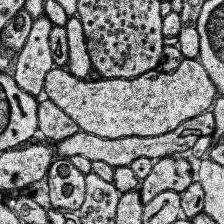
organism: Human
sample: Temporal Lobe